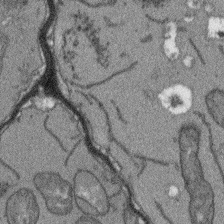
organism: Arabidopsis thaliana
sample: Root tip